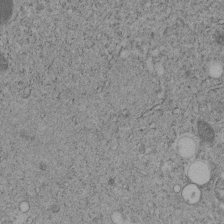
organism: C. elegans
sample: C. elegans embryo early stage